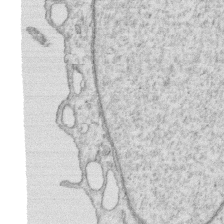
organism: Human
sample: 1205lu cells